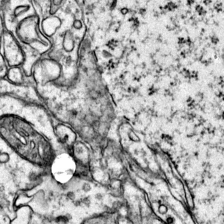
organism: Mouse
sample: Primary visual cortex